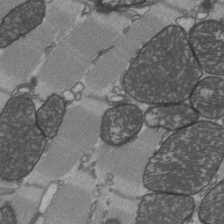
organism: C57BL Mouse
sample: Heart